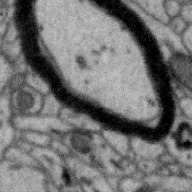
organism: Zebra finch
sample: Brain